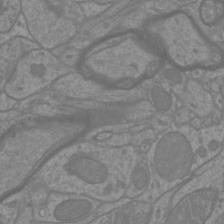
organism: Mouse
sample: Cortical neurons